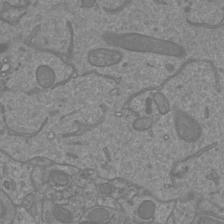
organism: Mouse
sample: Cortical neurons